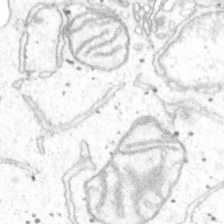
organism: Human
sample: HeLa cells